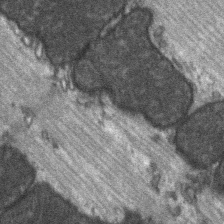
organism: C57BL Mouse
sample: Soleus